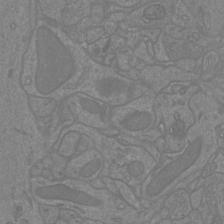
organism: Mouse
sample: Cortical neurons